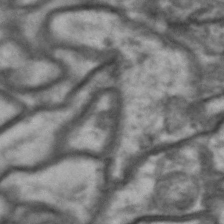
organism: Drosophila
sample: Brain